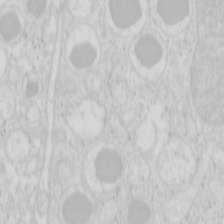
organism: Mouse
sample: Pancreas